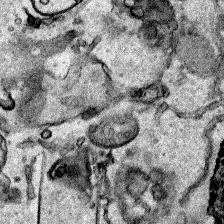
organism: Human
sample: Mitochondria in HCT116 cells